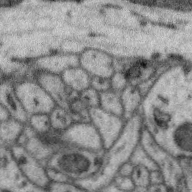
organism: Zebra finch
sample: Brain